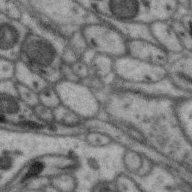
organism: Zebra finch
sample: Brain